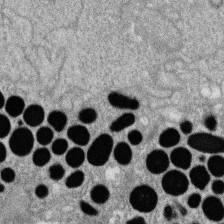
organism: Zebrafish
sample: Cilia; retinal pigment epithelium